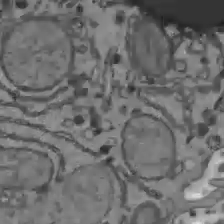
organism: C57BL Mouse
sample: Liver